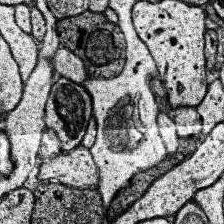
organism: Human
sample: Temporal Lobe